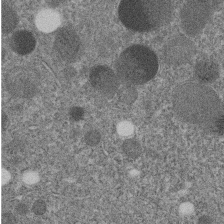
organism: C. elegans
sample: C. elegans embryo early stage